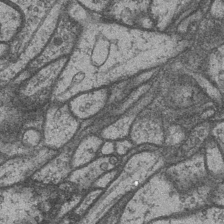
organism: Drosophila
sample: Optic medulla